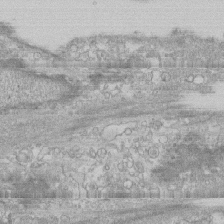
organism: Human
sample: CRL-1474